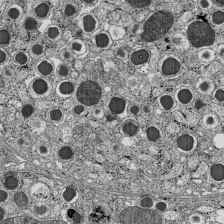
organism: C57BL Mouse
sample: Pancreatic islet